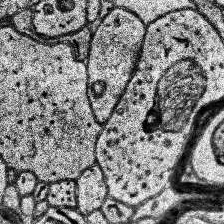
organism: Human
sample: Temporal Lobe